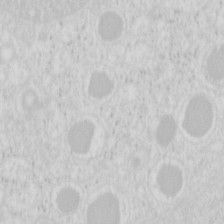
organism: Mouse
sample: Pancreas